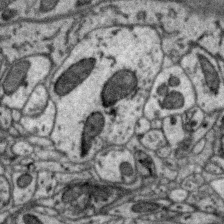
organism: Zebra finch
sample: Brain